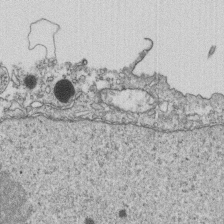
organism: Human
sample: HeLa cell HIV synapse